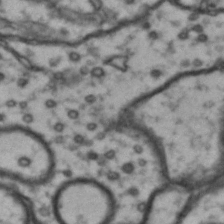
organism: Drosophila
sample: Brain